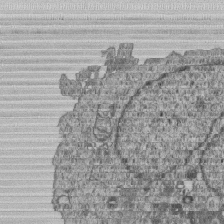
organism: Human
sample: MDA-MB-231 cells